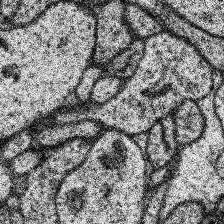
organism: Human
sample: Temporal Lobe